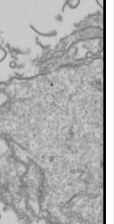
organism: Drosophila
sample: Cell division; meiosis; drosophila spermatocytes